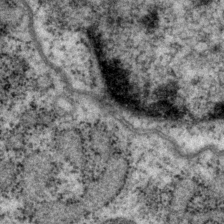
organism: P. pacificus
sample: Pharynx